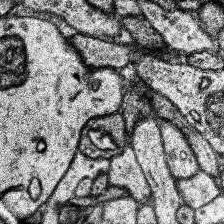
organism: Human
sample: Temporal Lobe